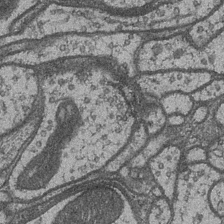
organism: Drosophila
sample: Optic medulla